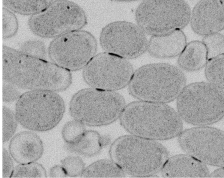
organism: E. coli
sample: Bacterial nucleoid